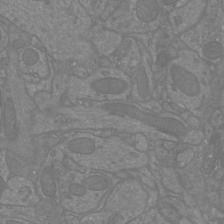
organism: Mouse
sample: Cortical neurons